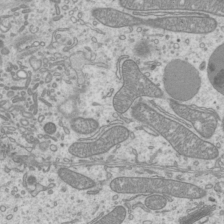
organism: Mouse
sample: Cilia; mouse epididymis